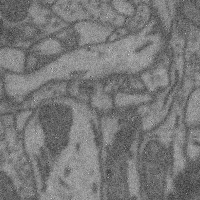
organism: Mouse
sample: Cerebral cortex